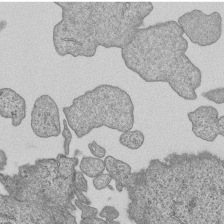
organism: Human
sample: MDA-MB-231 cells